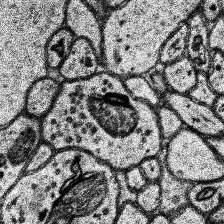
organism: Human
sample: Temporal Lobe